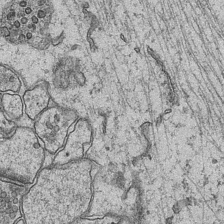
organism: Mouse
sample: CA1 Hippocampus